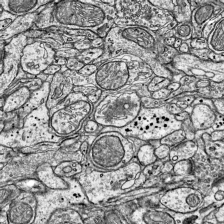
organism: Mouse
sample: Visual Cortex